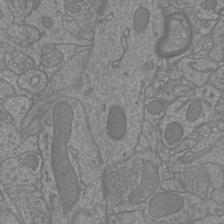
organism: Mouse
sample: Cortical neurons